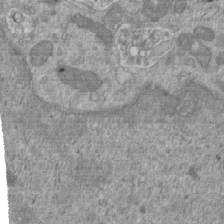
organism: Mouse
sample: ED-1 cell nuclei; centrioles